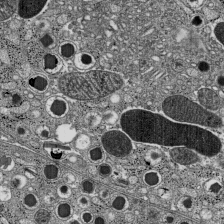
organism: C57BL Mouse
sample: Pancreatic islet